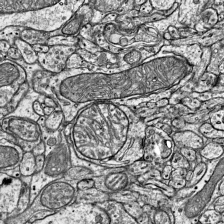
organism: Mouse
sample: Visual Cortex